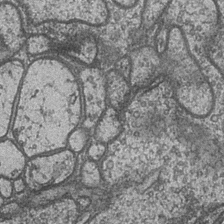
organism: Drosophila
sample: Optic medulla